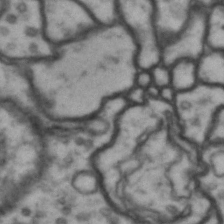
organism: Drosophila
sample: Brain